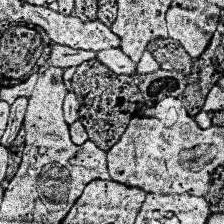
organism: Human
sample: Temporal Lobe